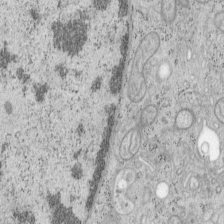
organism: Mouse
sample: OT-I killer T cells with ID8 ovarian cancer cells